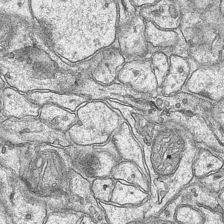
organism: Mouse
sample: CA1 Hippocampus